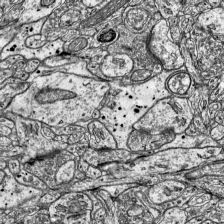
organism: Mouse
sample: Visual Cortex